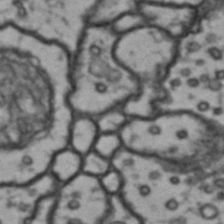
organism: Drosophila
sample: Brain